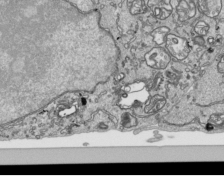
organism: Human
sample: Mitochondria in HCT116 cells